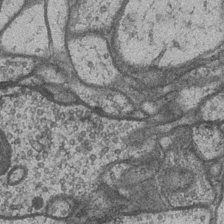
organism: Drosophila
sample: Optic medulla